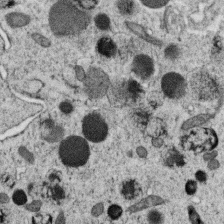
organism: C. elegans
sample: C. elegans oocyte; sperm cells